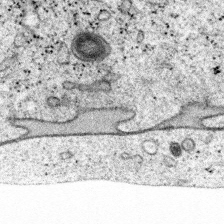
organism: Human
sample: HeLa cells